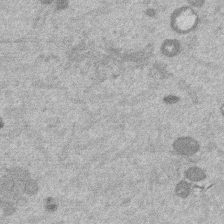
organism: Mouse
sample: Dividing mouse embryo 1 cell stage